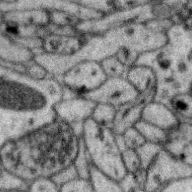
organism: Zebra finch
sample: Brain